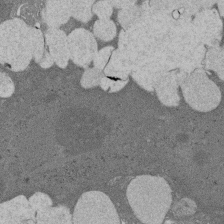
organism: Rat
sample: Salivary granule